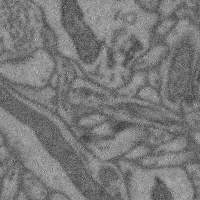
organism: Mouse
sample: Cerebral cortex